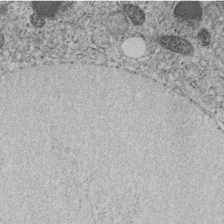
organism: C. elegans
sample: C. elegans embryo early stage